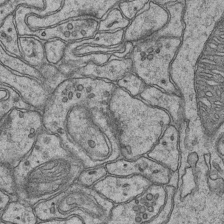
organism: Mouse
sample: CA1 Hippocampus